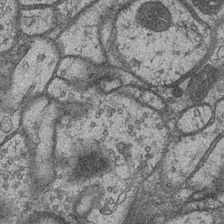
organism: Drosophila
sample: Optic medulla